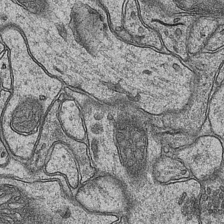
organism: Mouse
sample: CA1 Hippocampus